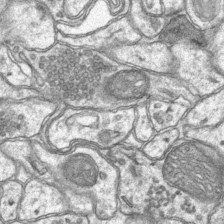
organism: Mouse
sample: CA1 Hippocampus